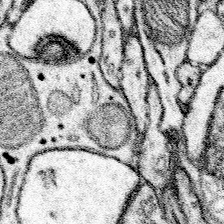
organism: Mouse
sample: Somatosensory cortex neuropil